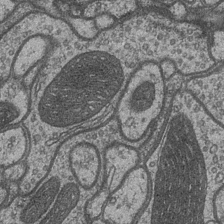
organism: Drosophila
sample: Optic medulla